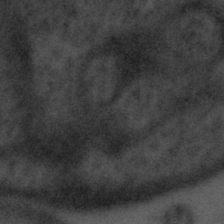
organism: Tuwongella immobilis